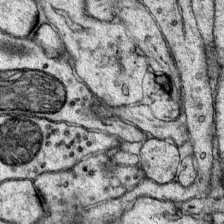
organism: Mouse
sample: Primary visual cortex